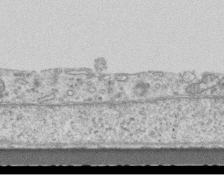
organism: Mouse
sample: Centriole in ependymal cells